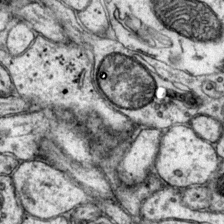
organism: Mouse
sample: Primary visual cortex